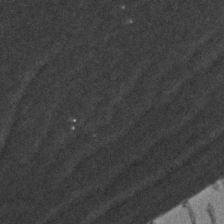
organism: Zebrafish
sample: Zebrafish embryo